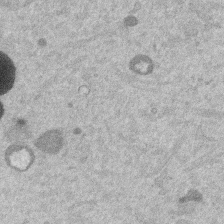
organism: Mouse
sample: Dividing mouse embryo 1 cell stage